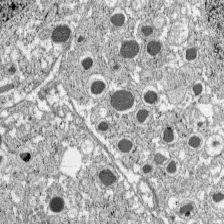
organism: C57BL Mouse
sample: Pancreatic islet